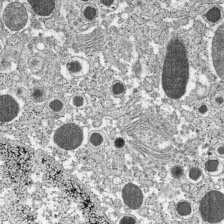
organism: C57BL Mouse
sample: Pancreatic islet